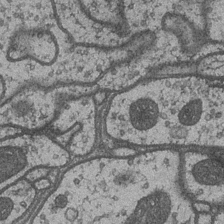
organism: Drosophila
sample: Optic medulla